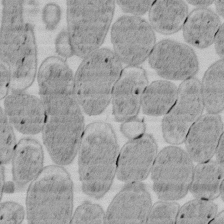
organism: E. coli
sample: Bacterial nucleoid